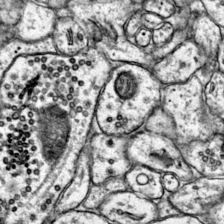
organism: Mouse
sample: Primary visual cortex